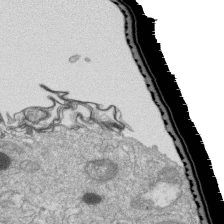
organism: Human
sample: HeLa cell HIV synapse